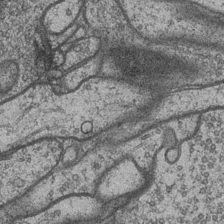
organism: Drosophila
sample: Optic medulla